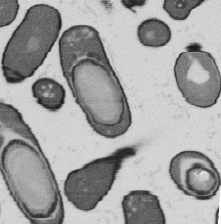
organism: B. subtilis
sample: Bacterial spore